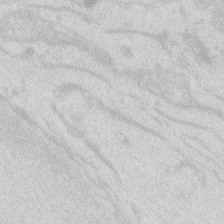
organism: Zebrafish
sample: Macrophage